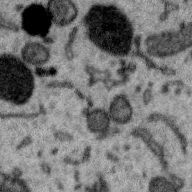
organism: Zebra finch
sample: Brain